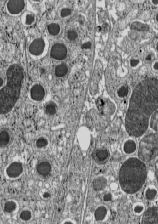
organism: C57BL Mouse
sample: Pancreatic islet